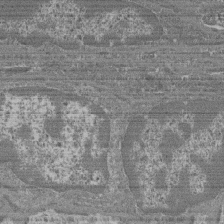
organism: Mouse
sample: Glomerulus